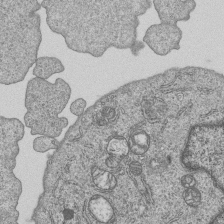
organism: Human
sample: MDA-MB-231 cells